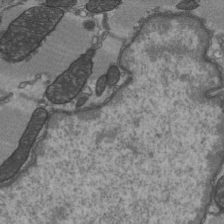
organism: C57BL Mouse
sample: Heart